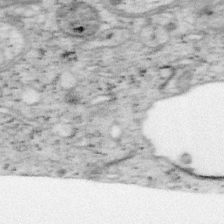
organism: Mouse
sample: OT-I killer T cells with ID8 ovarian cancer cells